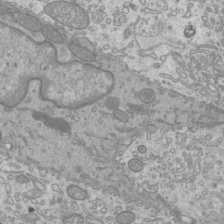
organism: Mouse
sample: Cilia; mouse epididymis